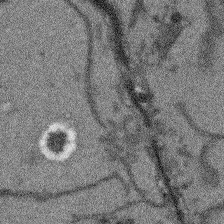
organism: Arabidopsis thaliana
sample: Root tip